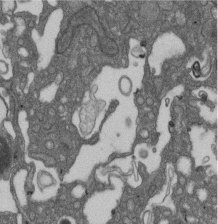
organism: Drosophila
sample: Nephrocyte